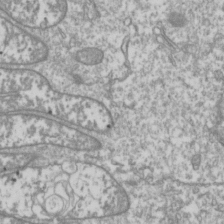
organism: Drosophila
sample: Cell division; meiosis; drosophila spermatocytes